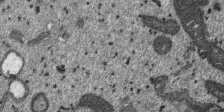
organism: Human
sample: Lung epithelial cells infected with SARS-CoV-2